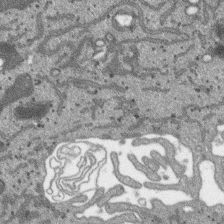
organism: Human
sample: Lung epithelial cells infected with SARS-CoV-2